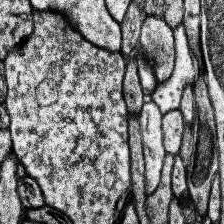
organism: Human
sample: Temporal Lobe